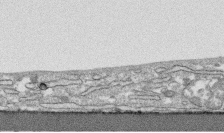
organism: Human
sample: CRL-1474